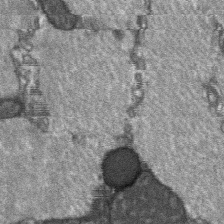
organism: C57BL Mouse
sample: Soleus